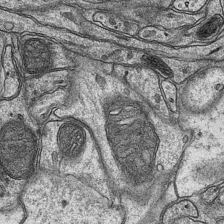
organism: Mouse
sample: CA1 Hippocampus